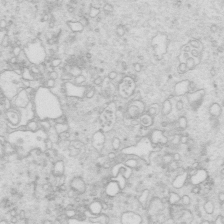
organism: Mouse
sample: Multiciliated cells